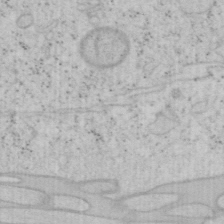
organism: Human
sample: HeLa cells